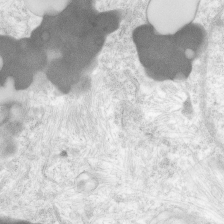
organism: Human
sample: Neocortex